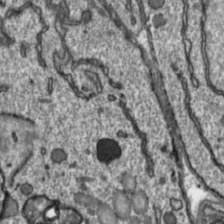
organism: Toxoplasma gondii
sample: Parasites in a vacuole inside a host cell